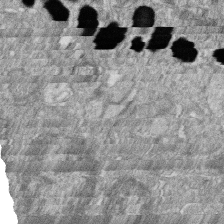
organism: Zebrafish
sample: Cilia; retinal pigment epithelium